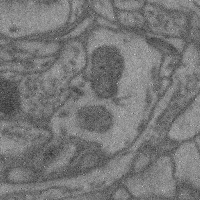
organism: Mouse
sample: Cerebral cortex